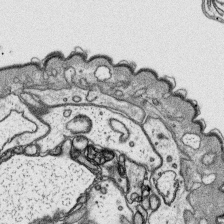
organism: Platynereis dumerilii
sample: Parapodia